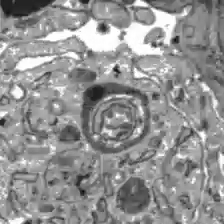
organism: C57BL Mouse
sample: Liver